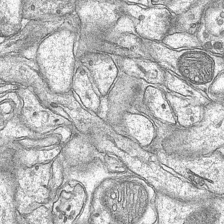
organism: Mouse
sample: CA1 Hippocampus